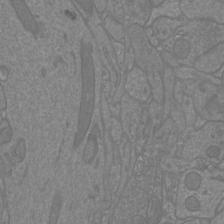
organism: Mouse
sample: Cortical neurons